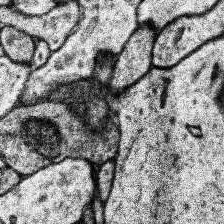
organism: Human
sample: Temporal Lobe